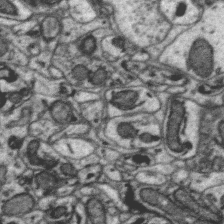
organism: Zebra finch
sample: Brain